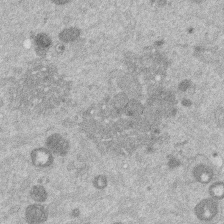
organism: Mouse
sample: Dividing mouse embryo 1 cell stage